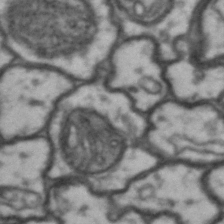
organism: Drosophila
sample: Brain